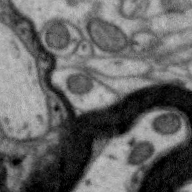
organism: Zebra finch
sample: Brain